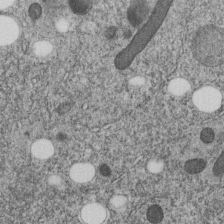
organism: C. elegans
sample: C. elegans embryo early stage